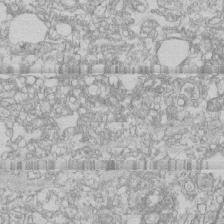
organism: Human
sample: CRL-1474